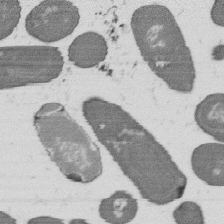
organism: B. subtilis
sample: Bacterial spore